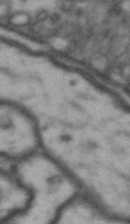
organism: Drosophila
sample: Brain